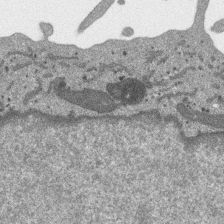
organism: Human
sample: Lung epithelial cells infected with SARS-CoV-2